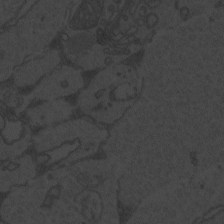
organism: Zebrafish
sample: Macrophage infected with Toxoplasma gondii